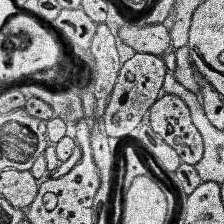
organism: Human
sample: Temporal Lobe